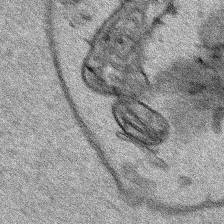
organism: Human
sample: Mitochondria in HCT116 cells